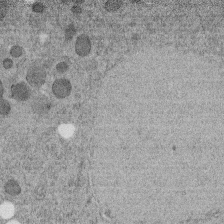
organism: C. elegans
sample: C. elegans embryo early stage